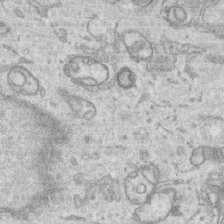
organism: Human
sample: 1205lu cells